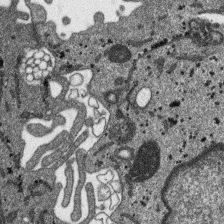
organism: Human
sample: Lung epithelial cells infected with SARS-CoV-2